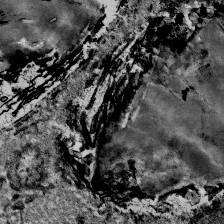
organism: Mouse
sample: Mouse Salivary gland